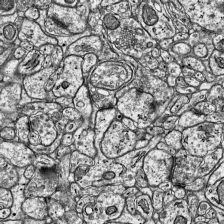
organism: Mouse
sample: Visual Cortex